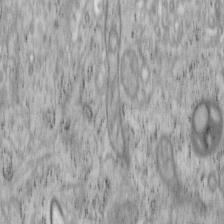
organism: Human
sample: HeLa cells